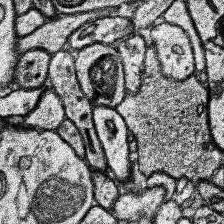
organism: Human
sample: Temporal Lobe